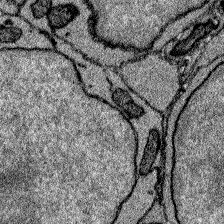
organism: Zebrafish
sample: Larval olfactory bulb